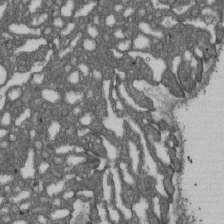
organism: Drosophila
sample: Nephrocyte